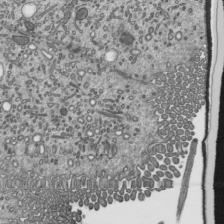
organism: Mouse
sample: Mouse epididymis efferent ductule cilia